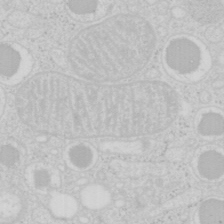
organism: Mouse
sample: Pancreas